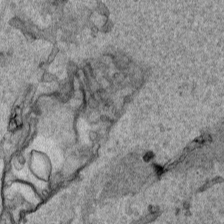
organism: Human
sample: Mitochondria in HCT116 cells